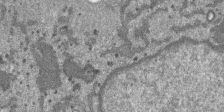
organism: Human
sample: Lung epithelial cells infected with SARS-CoV-2